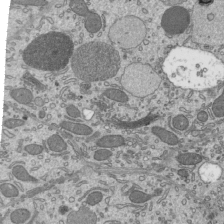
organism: Mouse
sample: Mouse epididymis efferent ductule cilia